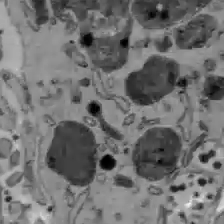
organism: C57BL Mouse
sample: Liver